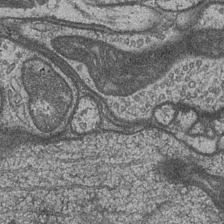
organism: Drosophila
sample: Optic medulla